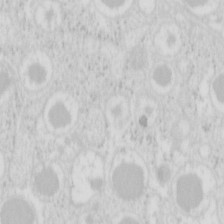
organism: Mouse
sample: Pancreas